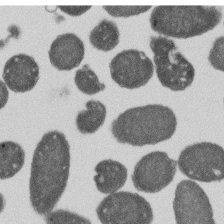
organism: E. coli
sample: Bacterial nucleoid